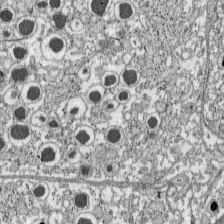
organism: C57BL Mouse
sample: Pancreatic islet